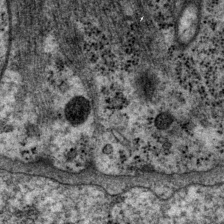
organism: P. pacificus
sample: Pharynx